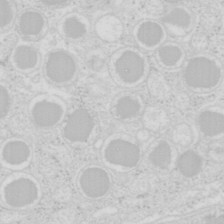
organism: Mouse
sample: Pancreas